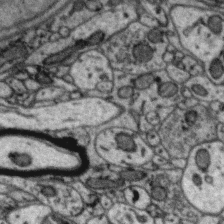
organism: Zebra finch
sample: Brain